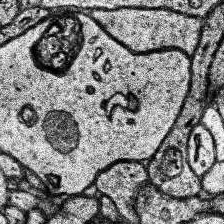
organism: Human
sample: Temporal Lobe